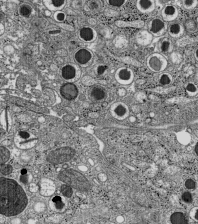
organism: C57BL Mouse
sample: Pancreatic islet